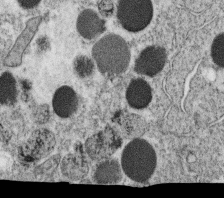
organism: C. elegans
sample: C. elegans oocyte; sperm cells